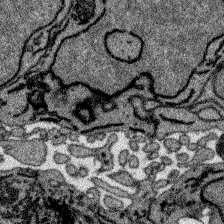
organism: Zebrafish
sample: Larval olfactory bulb